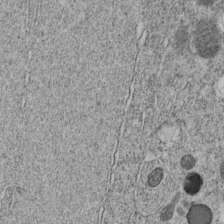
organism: C. elegans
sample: C. elegans embryo early stage